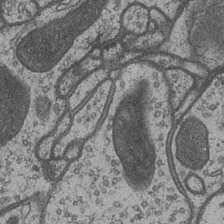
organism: Drosophila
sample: Optic medulla